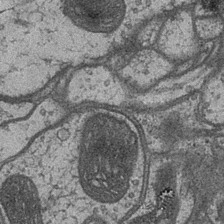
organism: Drosophila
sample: Optic medulla